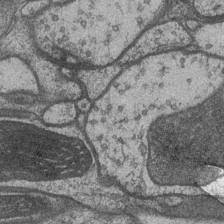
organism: Drosophila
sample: Optic medulla